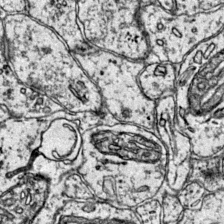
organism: Mouse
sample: Primary visual cortex